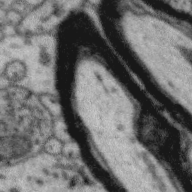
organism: Zebra finch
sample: Brain